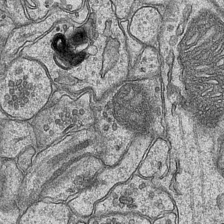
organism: Mouse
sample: CA1 Hippocampus